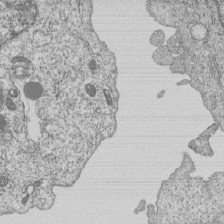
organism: Human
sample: MDA-MB-231 cells